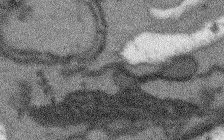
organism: Arabidopsis thaliana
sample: Root tip